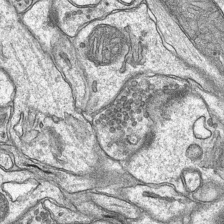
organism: Mouse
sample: CA1 Hippocampus